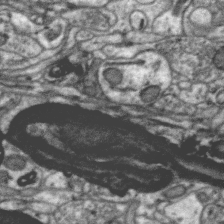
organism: Zebra finch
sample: Brain